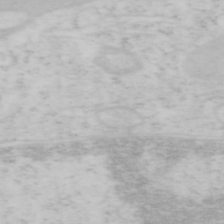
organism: Mouse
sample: OT-I killer T cells with ID8 ovarian cancer cells